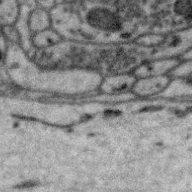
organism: Zebra finch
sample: Brain